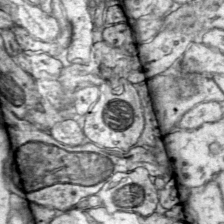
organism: Mouse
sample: Primary visual cortex